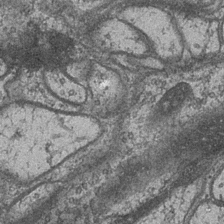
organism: Drosophila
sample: Optic medulla